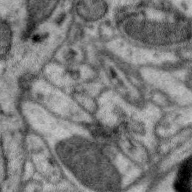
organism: Zebra finch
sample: Brain